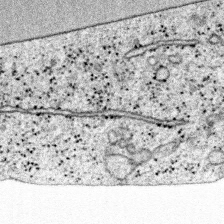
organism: Human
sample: HeLa cells